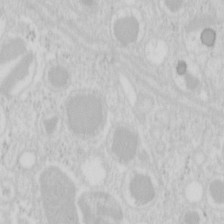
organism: Mouse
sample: Pancreas